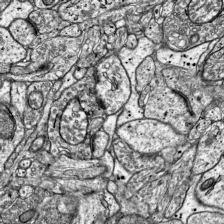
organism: Mouse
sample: Visual Cortex